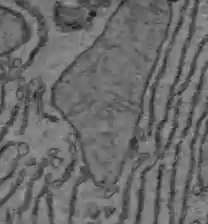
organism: C57BL Mouse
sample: Liver